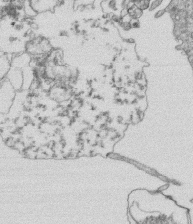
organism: Human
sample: HeLa cell HIV synapse